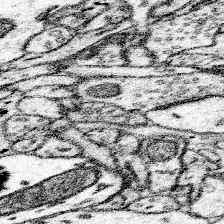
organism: Mouse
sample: Somatosensory cortex neuropil